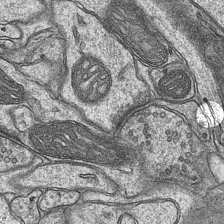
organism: Mouse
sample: CA1 Hippocampus